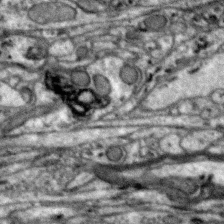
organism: Zebra finch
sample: Brain